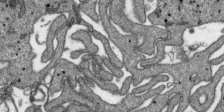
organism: Human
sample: Lung epithelial cells, uninfected (mock) control